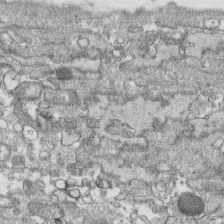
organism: Human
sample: CRL-1474